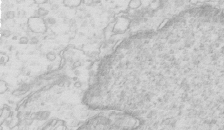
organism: Mouse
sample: Multiciliated cells